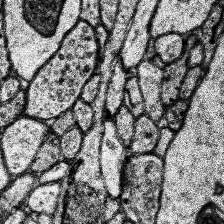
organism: Human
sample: Temporal Lobe